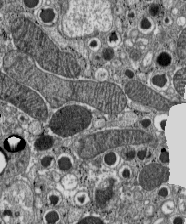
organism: C57BL Mouse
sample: Pancreatic islet